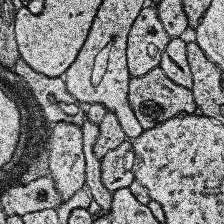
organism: Human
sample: Temporal Lobe